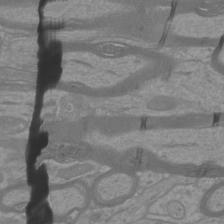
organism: Mouse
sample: Cortical neurons